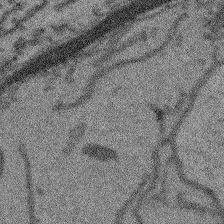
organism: Arabidopsis thaliana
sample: Root tip